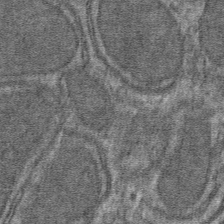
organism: Mouse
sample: Mouse hepatocytes